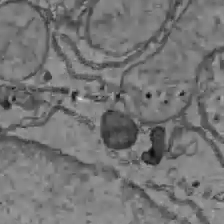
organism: C57BL Mouse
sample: Liver